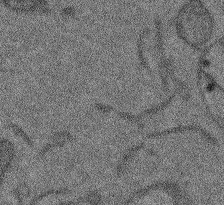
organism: Arabidopsis thaliana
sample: Root tip